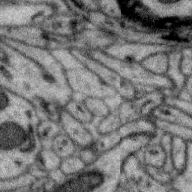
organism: Zebra finch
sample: Brain